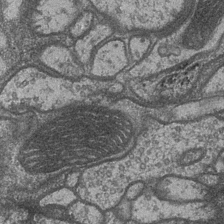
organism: Drosophila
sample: Optic medulla